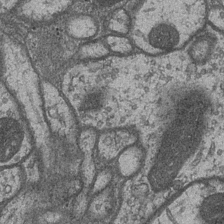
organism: Drosophila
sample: Optic medulla